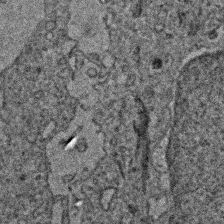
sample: Trachea